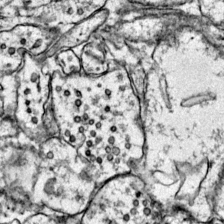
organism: Mouse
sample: Primary visual cortex